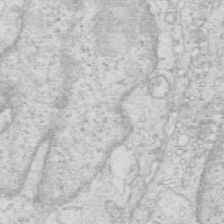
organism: Mouse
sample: Multiciliated cells